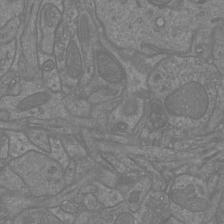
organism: Mouse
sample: Cortical neurons